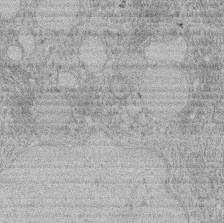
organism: Rat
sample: Salivary granule